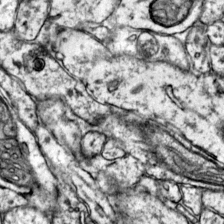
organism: Mouse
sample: Primary visual cortex